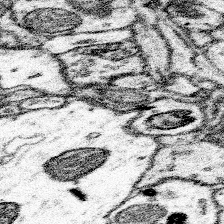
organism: Mouse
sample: Somatosensory cortex neuropil